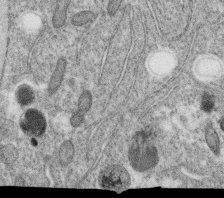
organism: C. elegans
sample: C. elegans oocyte; sperm cells